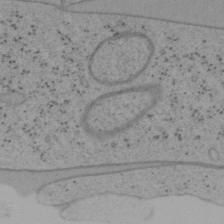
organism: Human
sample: HeLa cells